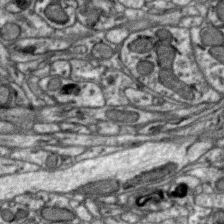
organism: Zebra finch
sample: Brain